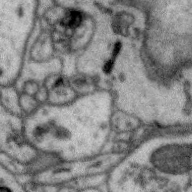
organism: Zebra finch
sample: Brain